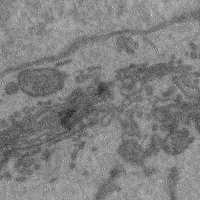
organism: Mouse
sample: Cerebral cortex